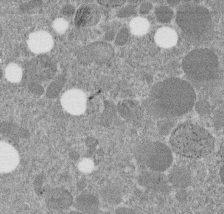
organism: C. elegans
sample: C. elegans embryo early stage